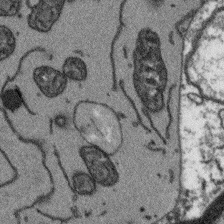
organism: Arabidopsis thaliana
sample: Root tip